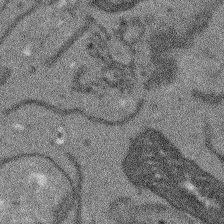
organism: Arabidopsis thaliana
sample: Root tip